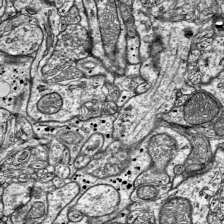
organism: Mouse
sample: Visual Cortex